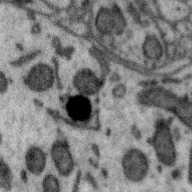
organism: Zebra finch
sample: Brain